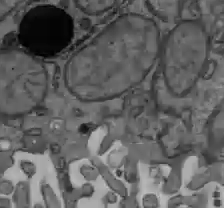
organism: C57BL Mouse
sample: Liver